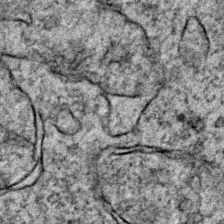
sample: Trachea